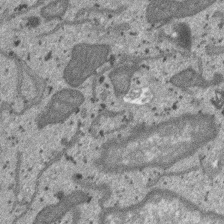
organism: Human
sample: Lung epithelial cells infected with SARS-CoV-2